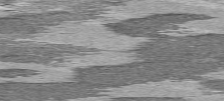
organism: C57BL Mouse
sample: Heart